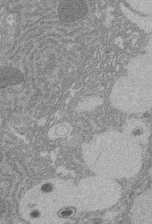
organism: Rat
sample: Salivary granule